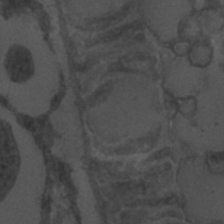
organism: C. elegans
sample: C. elegans embryo